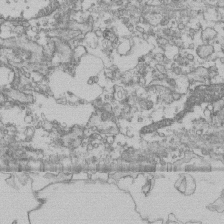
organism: Human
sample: Fibroblast cells